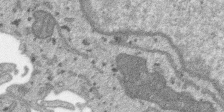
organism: Human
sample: Lung epithelial cells infected with SARS-CoV-2